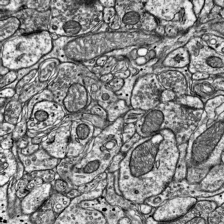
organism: Mouse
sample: Visual Cortex